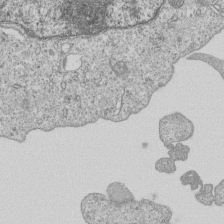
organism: Human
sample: MDA-MB-231 cells